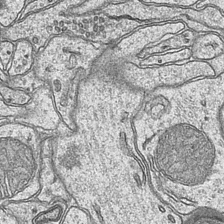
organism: Mouse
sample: CA1 Hippocampus